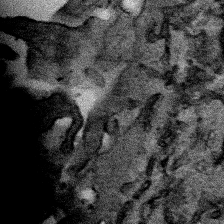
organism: Human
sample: Mitochondria in HCT116 cells